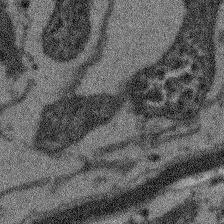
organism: Arabidopsis thaliana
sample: Root tip